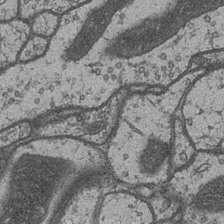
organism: Drosophila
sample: Optic medulla